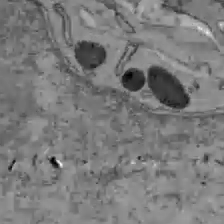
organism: C57BL Mouse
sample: Liver